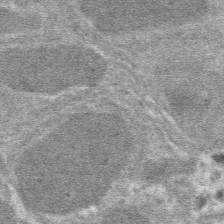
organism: Mouse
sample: Mouse hepatocytes